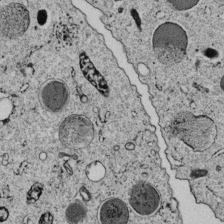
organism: C. elegans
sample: C. elegans embryo early stage